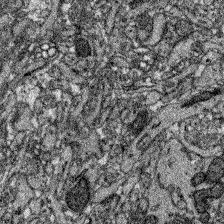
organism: Zebrafish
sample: Larval olfactory bulb